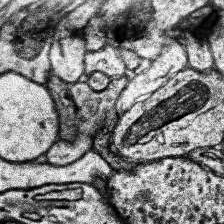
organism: Human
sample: Temporal Lobe